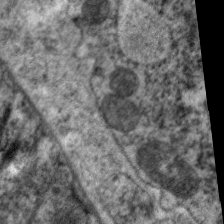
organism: C. elegans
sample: Pharynx